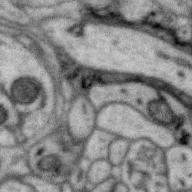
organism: Zebra finch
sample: Brain